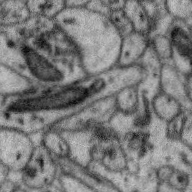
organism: Zebra finch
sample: Brain